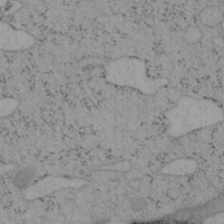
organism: Mouse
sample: OT-I killer T cells with ID8 ovarian cancer cells